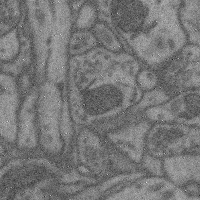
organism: Mouse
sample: Cerebral cortex